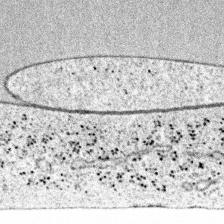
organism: Human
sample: HeLa cells